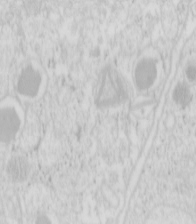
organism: Mouse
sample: Pancreas